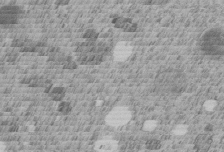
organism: C. elegans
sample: C. elegans embryo early stage